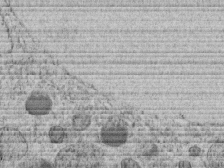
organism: C. elegans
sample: C. elegans embryo early stage